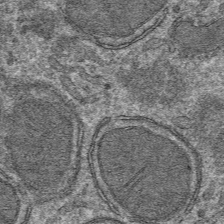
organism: Mouse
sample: Mouse hepatocytes